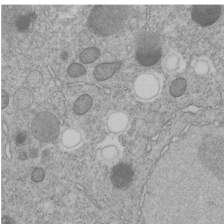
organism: C. elegans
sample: C. elegans embryo early stage